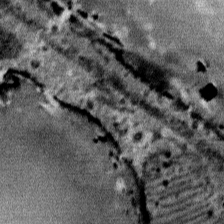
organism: Mouse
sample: Mouse Salivary gland